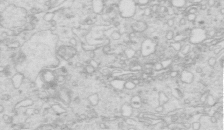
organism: Mouse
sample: Multiciliated cells